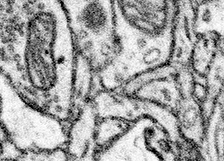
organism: Mouse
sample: Somatosensory cortex neuropil